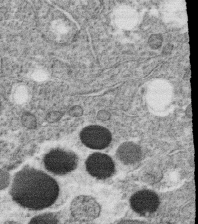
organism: C. elegans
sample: C. elegans oocyte; sperm cells